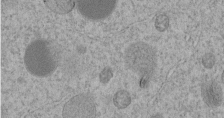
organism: C. elegans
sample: C. elegans embryo early stage